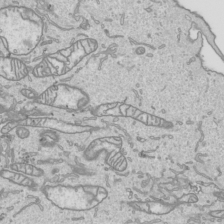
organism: Human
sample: Mitochondria in HCT116 cells